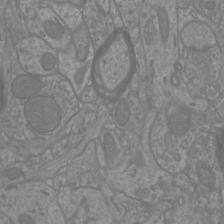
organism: Mouse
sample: Cortical neurons